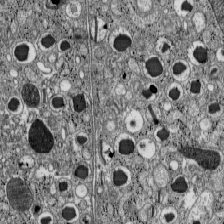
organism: C57BL Mouse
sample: Pancreatic islet